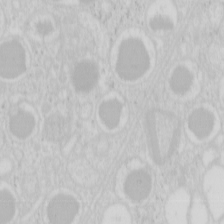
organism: Mouse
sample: Pancreas